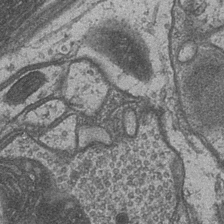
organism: Drosophila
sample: Optic medulla